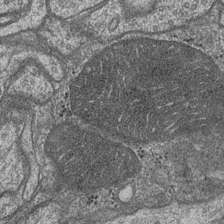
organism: Drosophila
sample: Optic medulla